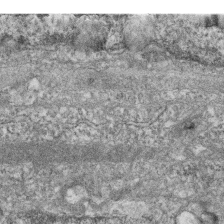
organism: Zebrafish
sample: Cilia; retinal pigment epithelium